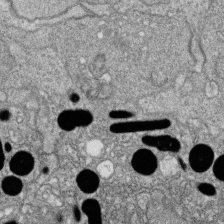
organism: Zebrafish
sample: Cilia; retinal pigment epithelium